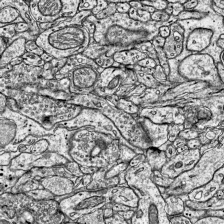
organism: Mouse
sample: Visual Cortex